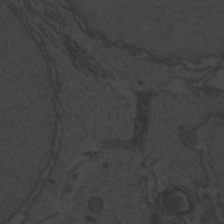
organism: Zebrafish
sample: Macrophage infected with Toxoplasma gondii